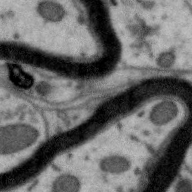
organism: Zebra finch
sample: Brain